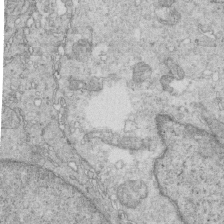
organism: Mouse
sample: Multiciliated cells